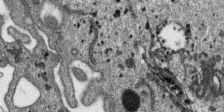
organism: Human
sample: Lung epithelial cells infected with SARS-CoV-2